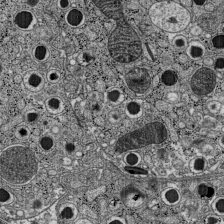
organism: C57BL Mouse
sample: Pancreatic islet